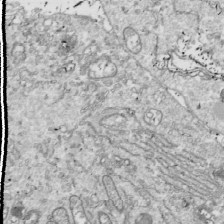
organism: Drosophila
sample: Cell division; meiosis; drosophila spermatocytes